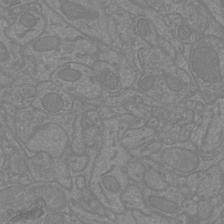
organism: Mouse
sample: Cortical neurons